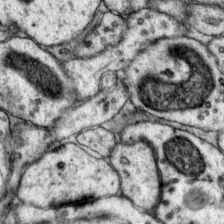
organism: Mouse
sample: Primary visual cortex